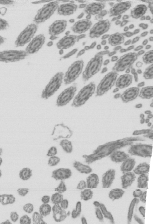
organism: Mouse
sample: Mouse epididymis efferent ductule cilia